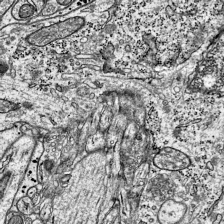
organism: Mouse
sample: Visual Cortex